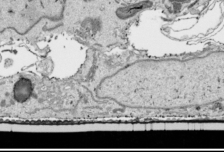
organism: Human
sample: Mitochondria in HCT116 cells